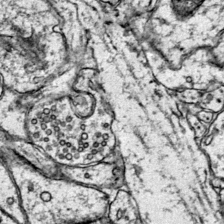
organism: Mouse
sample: Primary visual cortex